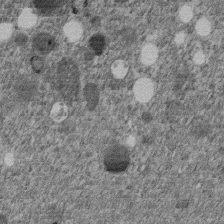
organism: C. elegans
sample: C. elegans embryo early stage